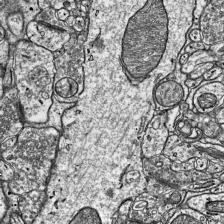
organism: Mouse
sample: Visual Cortex